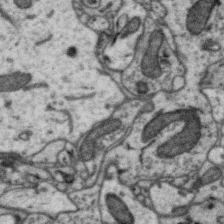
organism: Zebra finch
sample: Brain